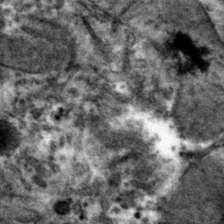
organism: Mouse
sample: Mouse hepatocytes